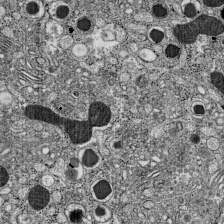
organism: C57BL Mouse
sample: Pancreatic islet